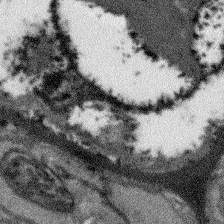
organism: Arabidopsis thaliana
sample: Root tip